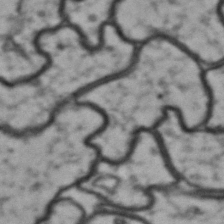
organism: Drosophila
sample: Brain